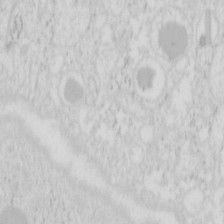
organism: Mouse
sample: Pancreas